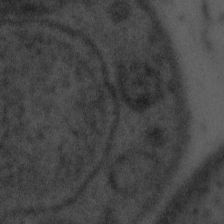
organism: Tuwongella immobilis